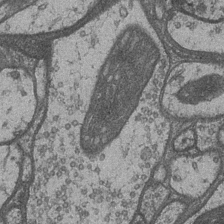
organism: Drosophila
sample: Optic medulla